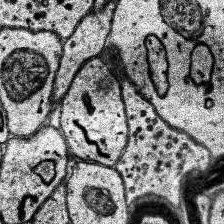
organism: Human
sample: Temporal Lobe